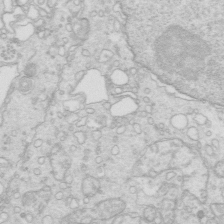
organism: Mouse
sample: Multiciliated cells